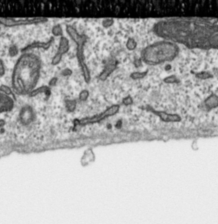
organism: Toxoplasma gondii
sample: Parasites in a vacuole inside a host cell